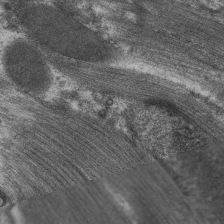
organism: C. elegans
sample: Pharynx